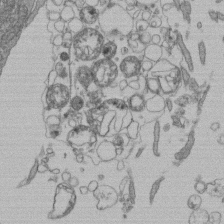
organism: Human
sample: Retinal organoid Rod and Cone cells